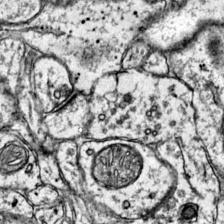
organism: Mouse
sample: Primary visual cortex